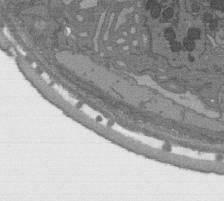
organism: C. elegans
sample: AFD neurons C. elegans